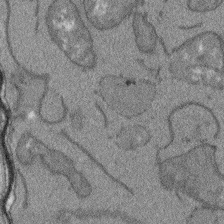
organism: Arabidopsis thaliana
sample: Root tip